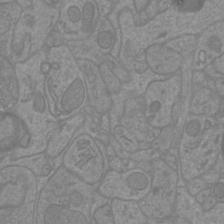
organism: Mouse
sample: Cortical neurons